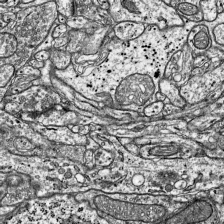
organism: Mouse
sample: Visual Cortex